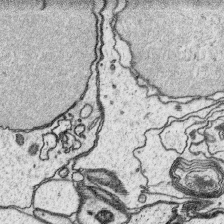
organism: Platynereis dumerilii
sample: Parapodia